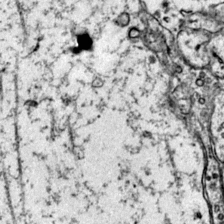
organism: Mouse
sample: Primary visual cortex